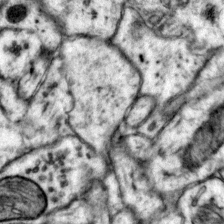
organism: Mouse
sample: Primary visual cortex